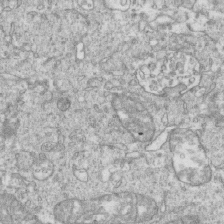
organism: Mouse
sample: Activated OT-1 CD8+ T cells